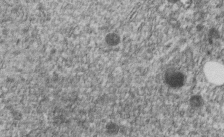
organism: C. elegans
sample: C. elegans embryo early stage